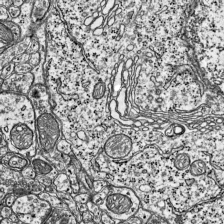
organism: Mouse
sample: Visual Cortex